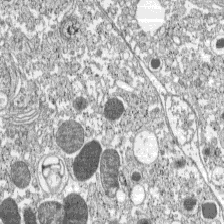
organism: C57BL Mouse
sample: Pancreatic islet